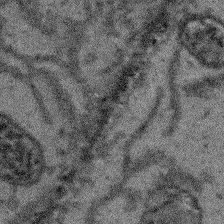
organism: Arabidopsis thaliana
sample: Root tip